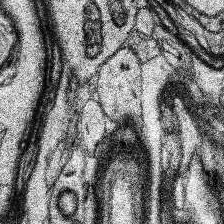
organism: Human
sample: Temporal Lobe